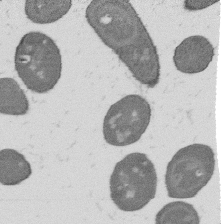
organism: B. subtilis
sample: Bacterial spore